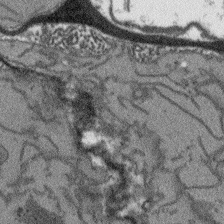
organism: Arabidopsis thaliana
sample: Root tip